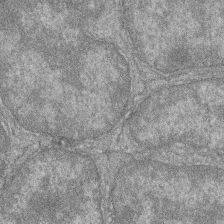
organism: Zebrafish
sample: Cilia; retinal pigment epithelium